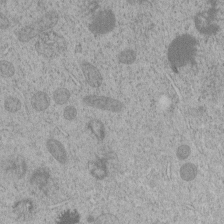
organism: C. elegans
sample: C. elegans embryo early stage